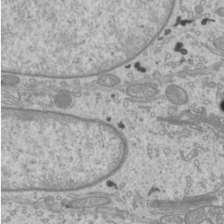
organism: Mouse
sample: Cilia; mouse epididymis